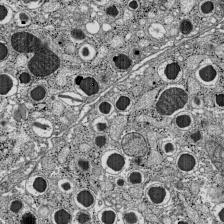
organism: C57BL Mouse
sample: Pancreatic islet